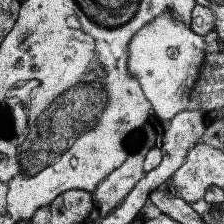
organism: Human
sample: Temporal Lobe